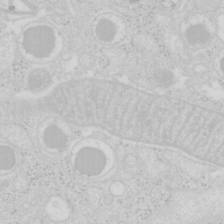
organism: Mouse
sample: Pancreas